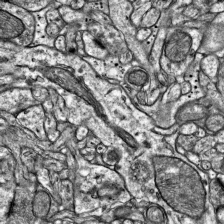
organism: Mouse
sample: Visual Cortex